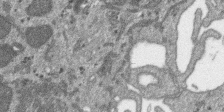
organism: Human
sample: Lung epithelial cells infected with SARS-CoV-2